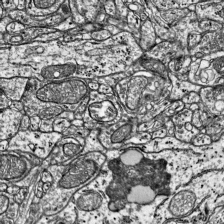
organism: Mouse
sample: Visual Cortex